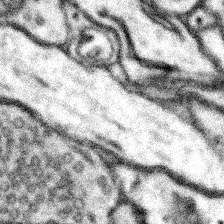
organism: Mouse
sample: Somatosensory cortex neuropil